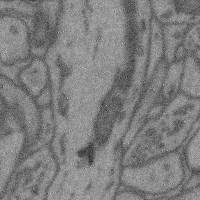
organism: Mouse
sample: Cerebral cortex